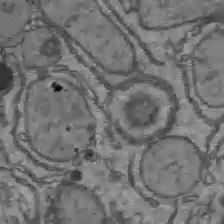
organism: C57BL Mouse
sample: Liver